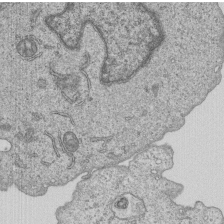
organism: Human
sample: MDA-MB-231 cells